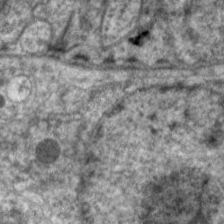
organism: C. elegans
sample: Pharynx